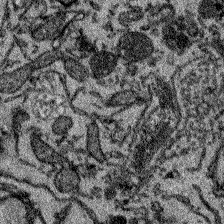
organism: Zebrafish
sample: Larval olfactory bulb